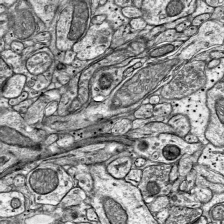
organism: Mouse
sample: Visual Cortex